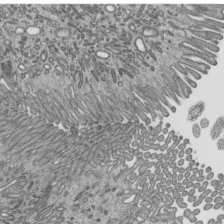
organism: Mouse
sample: Mouse epididymis efferent ductule cilia